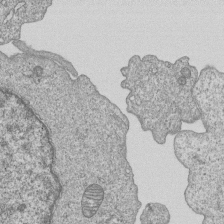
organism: Human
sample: MDA-MB-231 cells